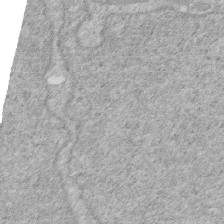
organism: Human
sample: HIV infected U937 cells